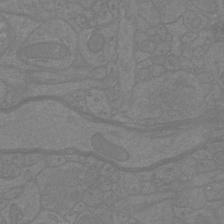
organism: Mouse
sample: Cortical neurons